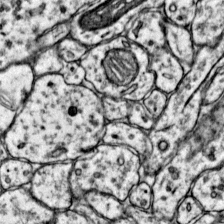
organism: Mouse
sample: Primary visual cortex